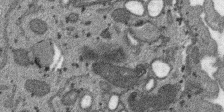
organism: Human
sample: Lung epithelial cells infected with SARS-CoV-2